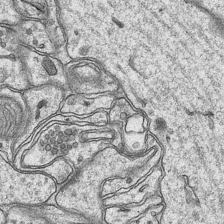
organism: Mouse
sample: CA1 Hippocampus